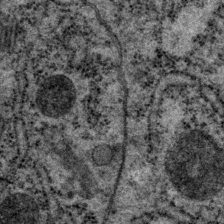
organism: P. pacificus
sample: Pharynx